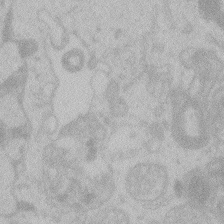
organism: Zebrafish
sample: Macrophage infected with Toxoplasma gondii